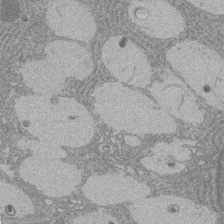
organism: Rat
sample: Salivary granule